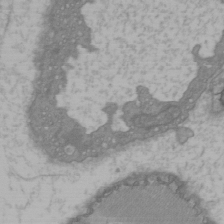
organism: C57BL Mouse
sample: Heart